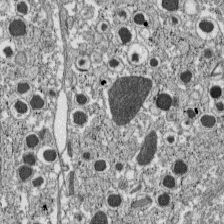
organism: C57BL Mouse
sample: Pancreatic islet